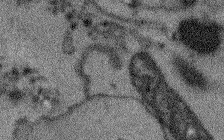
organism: Arabidopsis thaliana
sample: Root tip